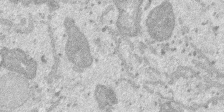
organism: Human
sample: Lung epithelial cells infected with SARS-CoV-2